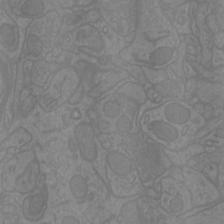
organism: Mouse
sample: Cortical neurons